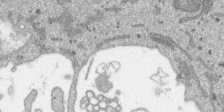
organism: Human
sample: Lung epithelial cells infected with SARS-CoV-2